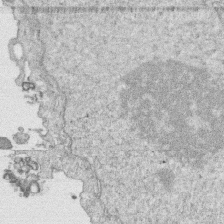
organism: Human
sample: HeLa cell HIV synapse